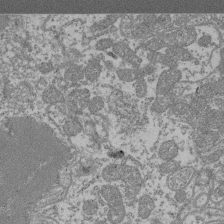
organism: Mouse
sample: Glomerulus